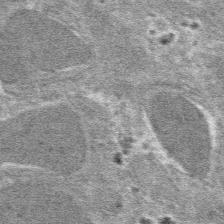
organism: Mouse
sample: Mouse hepatocytes